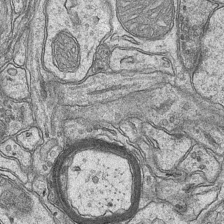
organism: Mouse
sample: CA1 Hippocampus